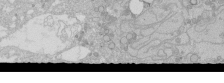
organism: Human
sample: Caco-2 cells